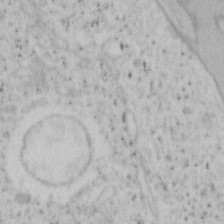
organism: Human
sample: HeLa cells